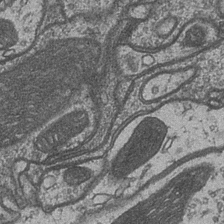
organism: Drosophila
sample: Optic medulla